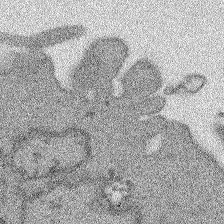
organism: Human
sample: HeLa cells